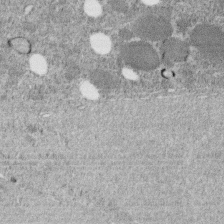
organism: C. elegans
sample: C. elegans embryo early stage